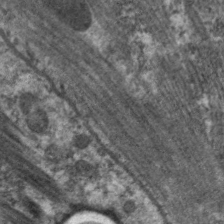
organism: C. elegans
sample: Pharynx